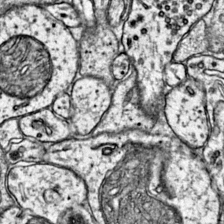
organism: Mouse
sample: Primary visual cortex